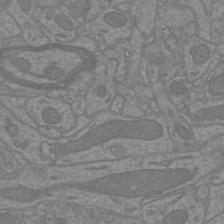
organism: Mouse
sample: Cortical neurons